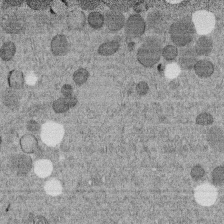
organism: C. elegans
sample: C. elegans embryo early stage